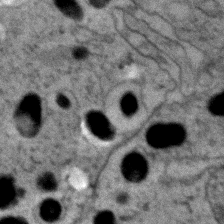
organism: Zebrafish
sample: Zebrafish embryo